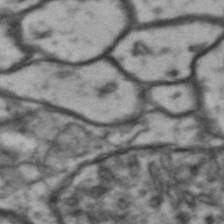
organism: Drosophila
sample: Brain